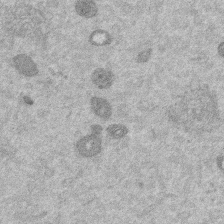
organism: Mouse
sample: Dividing mouse embryo 1 cell stage